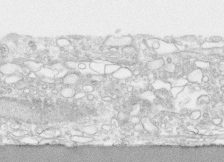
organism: Human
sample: CRL-1474